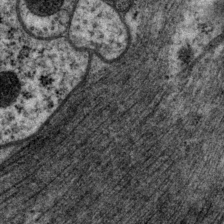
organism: P. pacificus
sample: Pharynx